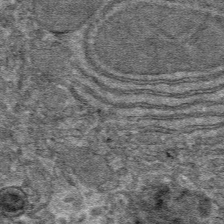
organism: Mouse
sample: Mouse hepatocytes